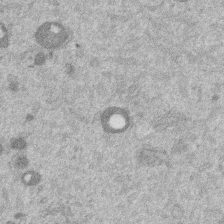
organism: Mouse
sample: Dividing mouse embryo 1 cell stage